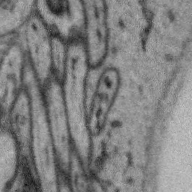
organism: Zebra finch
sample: Brain